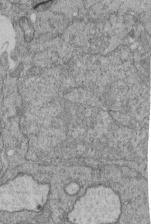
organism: Human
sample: Retinal organoid Rod and Cone cells